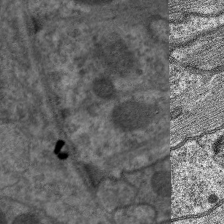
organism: C. elegans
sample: Pharynx